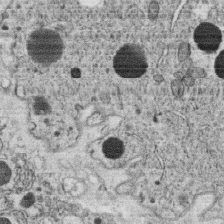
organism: C. elegans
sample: C. elegans oocyte; sperm cells